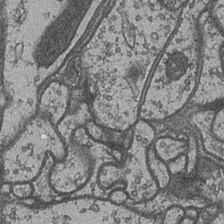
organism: Drosophila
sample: Optic medulla